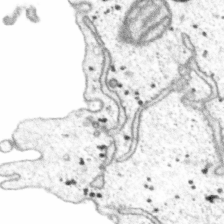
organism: Human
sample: HeLa cells